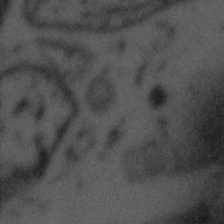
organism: Tuwongella immobilis